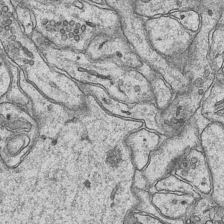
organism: Mouse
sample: CA1 Hippocampus